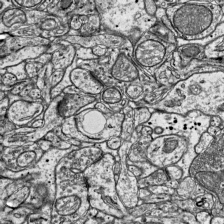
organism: Mouse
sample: Visual Cortex